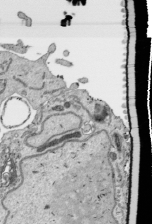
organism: Human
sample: Mitochondria in HCT116 cells